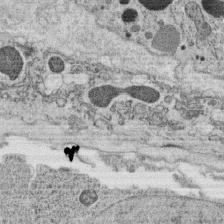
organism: C. elegans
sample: C. elegans oocyte; sperm cells